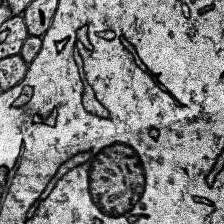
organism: Human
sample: Temporal Lobe